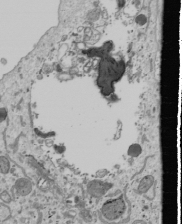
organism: Human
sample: Mitochondria in U2OS cells